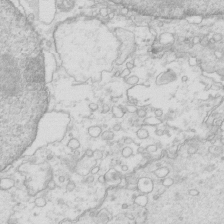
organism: Mouse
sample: Multiciliated cells